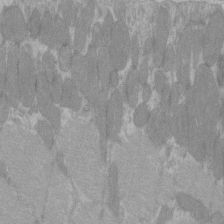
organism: C57BL Mouse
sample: Tibialis anterior muscle cell